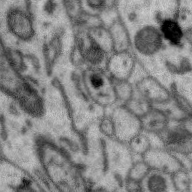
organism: Zebra finch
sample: Brain